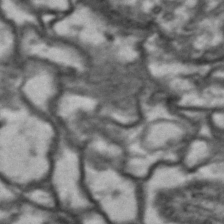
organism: Drosophila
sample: Brain